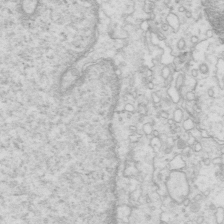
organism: Mouse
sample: Multiciliated cells